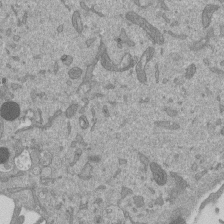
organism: Mouse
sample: ED-1 cell nuclei; centrioles